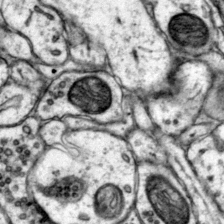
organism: Mouse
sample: Primary visual cortex